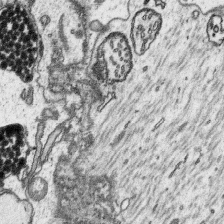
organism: Platynereis dumerilii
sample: Parapodia